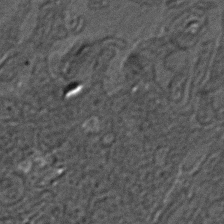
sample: Trachea